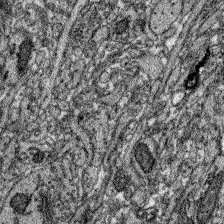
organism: Zebrafish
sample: Larval olfactory bulb